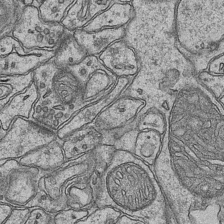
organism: Mouse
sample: CA1 Hippocampus